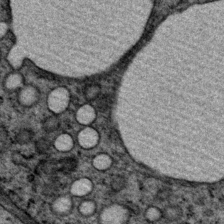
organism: P. pacificus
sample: Pharynx